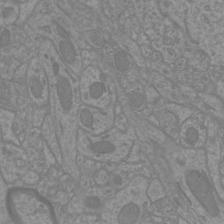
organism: Mouse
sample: Cortical neurons